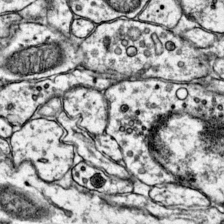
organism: Mouse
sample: Primary visual cortex